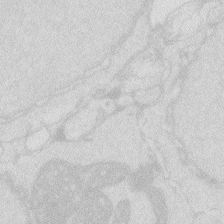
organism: Zebrafish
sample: Macrophage